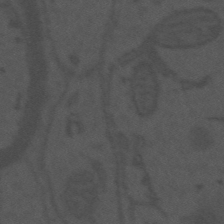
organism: Mouse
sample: Suprachiasmatic nucleus